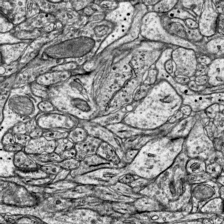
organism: Mouse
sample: Visual Cortex